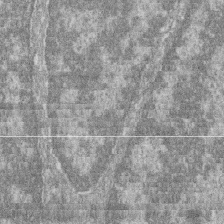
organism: Zebrafish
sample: Cilia; retinal pigment epithelium